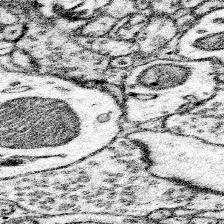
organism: Mouse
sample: Somatosensory cortex neuropil